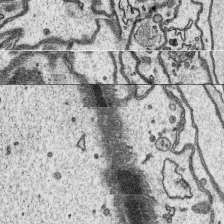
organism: Platynereis dumerilii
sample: Parapodia